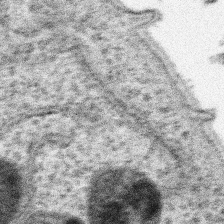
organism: Human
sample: HeLa cells